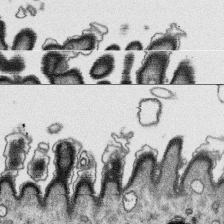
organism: Platynereis dumerilii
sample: Parapodia